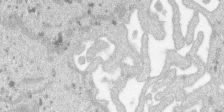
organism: Human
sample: Lung epithelial cells infected with SARS-CoV-2